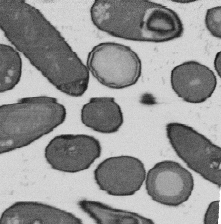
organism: B. subtilis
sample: Bacterial spore